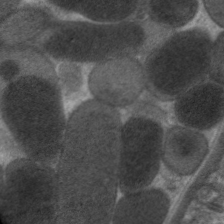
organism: C. elegans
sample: Pharynx